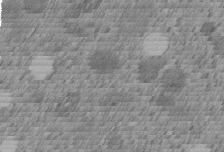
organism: C. elegans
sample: C. elegans embryo early stage